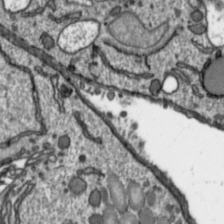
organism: Toxoplasma gondii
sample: Parasites in a vacuole inside a host cell